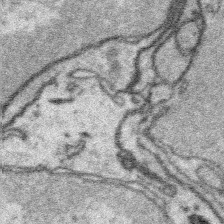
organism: Platynereis dumerilii